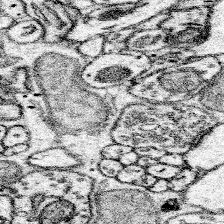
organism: Mouse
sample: Somatosensory cortex neuropil